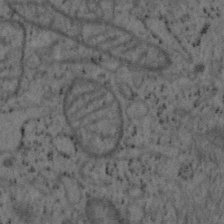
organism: Human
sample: HeLa cells